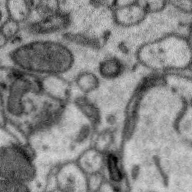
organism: Zebra finch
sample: Brain